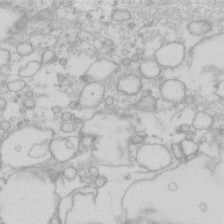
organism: Human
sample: Fibroblast cells